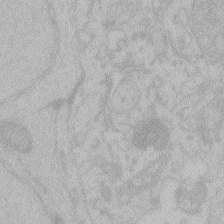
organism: Zebrafish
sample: Macrophage infected with Toxoplasma gondii